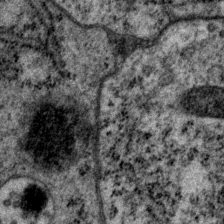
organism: P. pacificus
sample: Pharynx